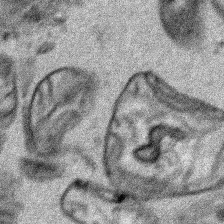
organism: Human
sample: Mitochondria in HCT116 cells